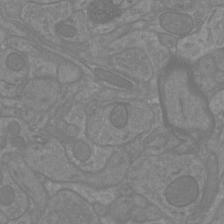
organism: Mouse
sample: Cortical neurons